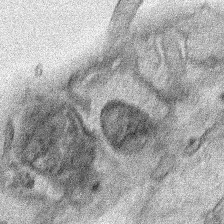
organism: Human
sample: Mitochondria in HCT116 cells